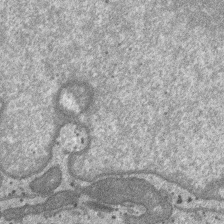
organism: Human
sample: Lung epithelial cells infected with SARS-CoV-2